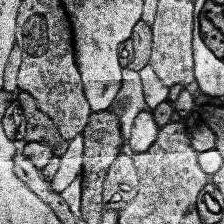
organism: Human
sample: Temporal Lobe